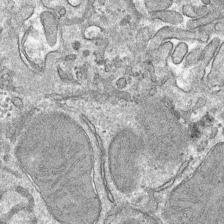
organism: Mouse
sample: Mouse hepatocytes